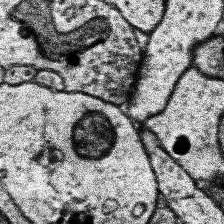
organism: Human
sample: Temporal Lobe